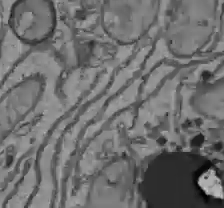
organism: C57BL Mouse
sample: Liver